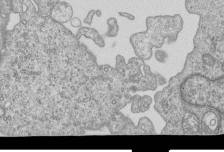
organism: Human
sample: MDA-MB-231 cells